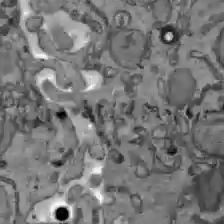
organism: C57BL Mouse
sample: Liver